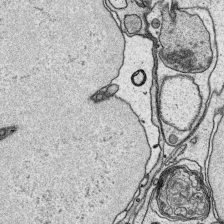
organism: Platynereis dumerilii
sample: Parapodia